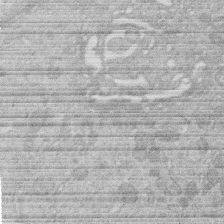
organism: Human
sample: Macrophage cells